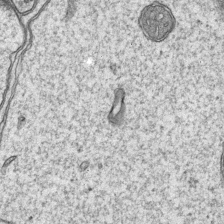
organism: Mouse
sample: CA1 Hippocampus